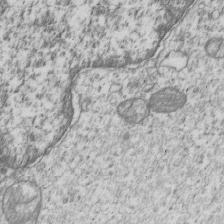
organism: Human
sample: MDA-MB-231 cells